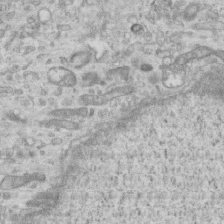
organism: Mouse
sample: Centriole in ependymal cells